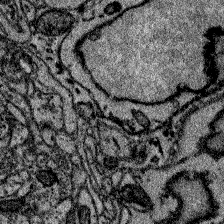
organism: Zebrafish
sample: Larval olfactory bulb